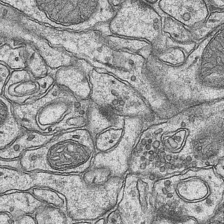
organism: Mouse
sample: CA1 Hippocampus